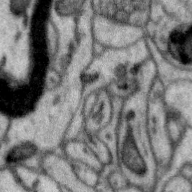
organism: Zebra finch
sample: Brain